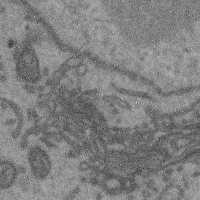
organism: Mouse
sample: Cerebral cortex